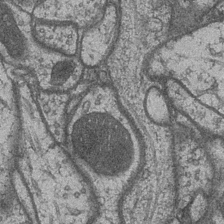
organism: Drosophila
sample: Optic medulla